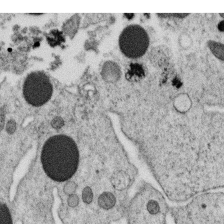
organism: C. elegans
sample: C. elegans oocyte; sperm cells